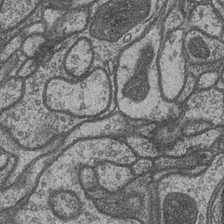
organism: Drosophila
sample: Optic medulla